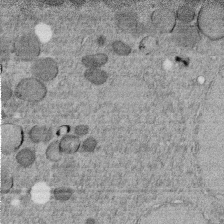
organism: C. elegans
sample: C. elegans embryo early stage